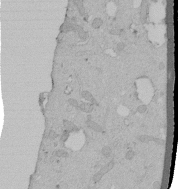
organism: Human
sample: Melanocyte Keratinocyte synapse skin construct